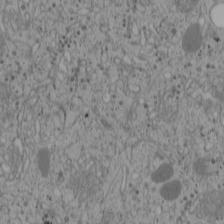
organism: African green monkey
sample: COS-7 cells